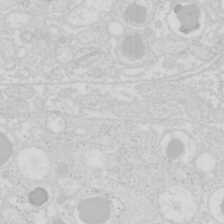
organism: Mouse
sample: Pancreas